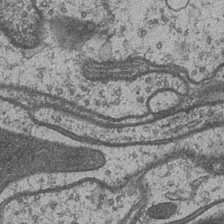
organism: Drosophila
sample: Optic medulla